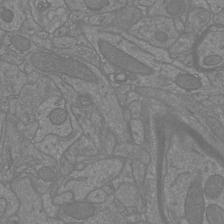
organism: Mouse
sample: Cortical neurons